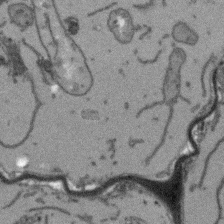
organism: Arabidopsis thaliana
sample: Root tip